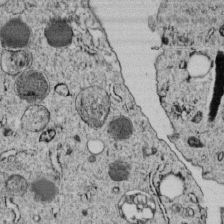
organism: C. elegans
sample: C. elegans embryo early stage